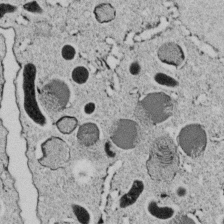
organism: C. elegans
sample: C. elegans embryo early stage